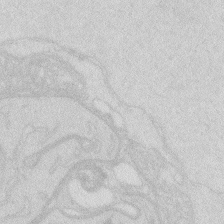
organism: Zebrafish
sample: Macrophage